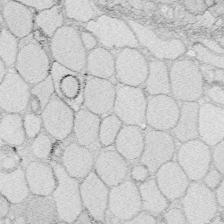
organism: Zebrafish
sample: Whole-Brain